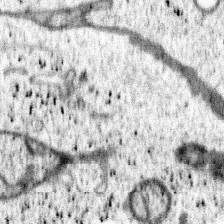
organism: Human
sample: HeLa cells